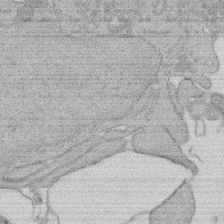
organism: Rat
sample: Salivary granule